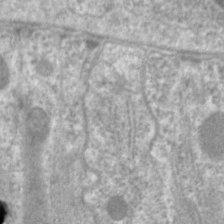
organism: C. elegans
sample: Pharynx